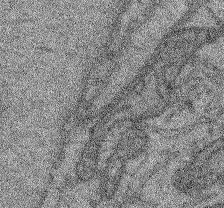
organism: Human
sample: HeLa cells